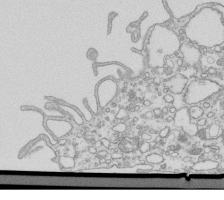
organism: Mouse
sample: Macrophages